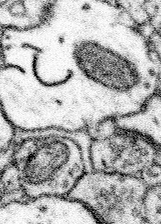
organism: Mouse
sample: Somatosensory cortex neuropil